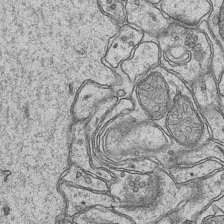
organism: Mouse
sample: CA1 Hippocampus